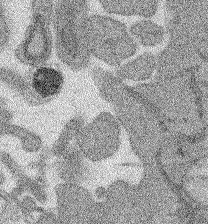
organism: Human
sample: HeLa cells